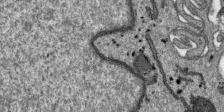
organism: Human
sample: Lung epithelial cells, uninfected (mock) control